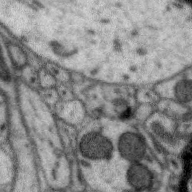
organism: Zebra finch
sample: Brain